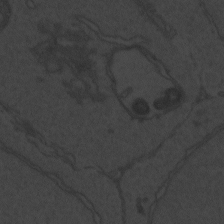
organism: Zebrafish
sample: Macrophage infected with Toxoplasma gondii